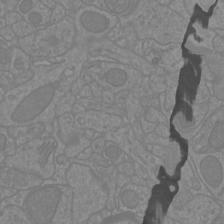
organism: Mouse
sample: Cortical neurons